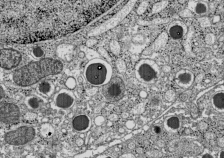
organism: C57BL Mouse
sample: Pancreatic islet